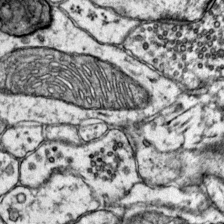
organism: Mouse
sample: Primary visual cortex